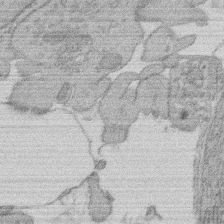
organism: Rat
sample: Salivary granule